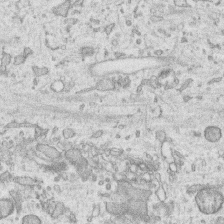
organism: Human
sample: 1205lu cells